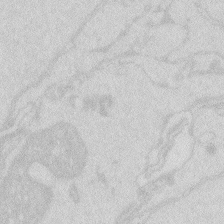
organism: Zebrafish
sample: Macrophage